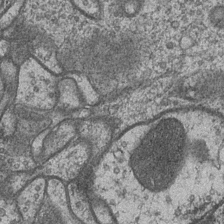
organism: Drosophila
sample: Optic medulla